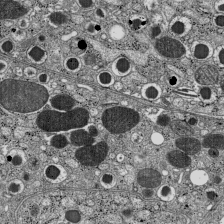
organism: C57BL Mouse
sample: Pancreatic islet